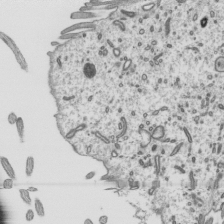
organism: Mouse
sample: Mouse epididymis efferent ductule cilia